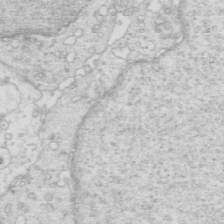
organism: Mouse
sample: Multiciliated cells